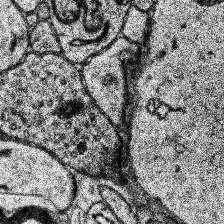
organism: Human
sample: Temporal Lobe